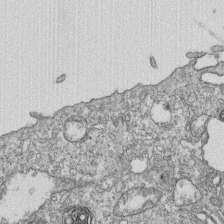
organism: Human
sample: HeLa cell HIV synapse